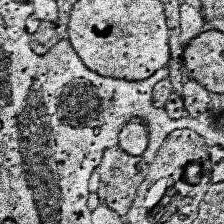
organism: Human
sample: Temporal Lobe